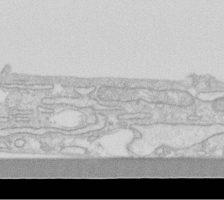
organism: Human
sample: Fibroblast cells